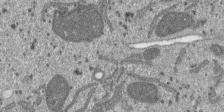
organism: Human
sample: Lung epithelial cells infected with SARS-CoV-2